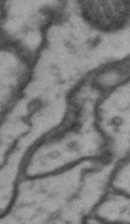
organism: Drosophila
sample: Brain